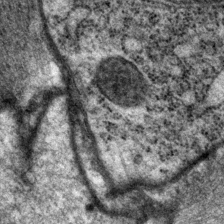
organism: P. pacificus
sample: Pharynx